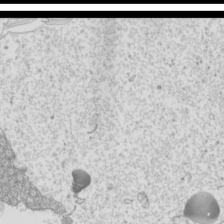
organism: Mouse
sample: Cilia; mouse epididymis